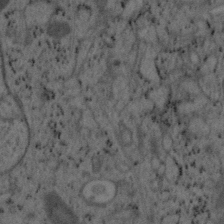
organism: Human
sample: HeLa cells